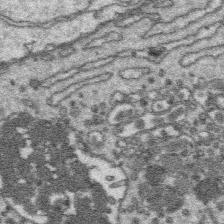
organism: Platynereis dumerilii